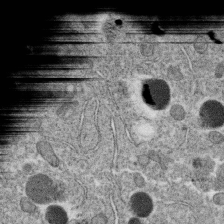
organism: C. elegans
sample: C. elegans oocyte; sperm cells